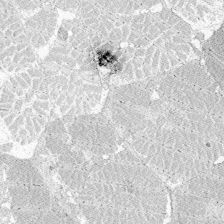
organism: Zebrafish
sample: Whole-Brain